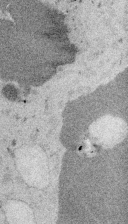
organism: Embia sp.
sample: Silk gland